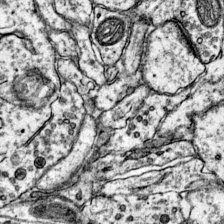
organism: Mouse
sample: Primary visual cortex